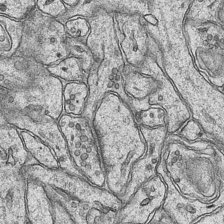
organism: Mouse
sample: CA1 Hippocampus